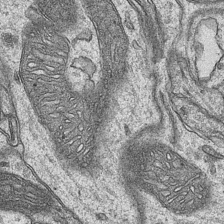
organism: Mouse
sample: CA1 Hippocampus